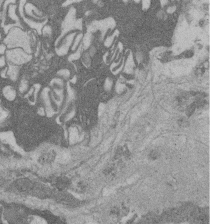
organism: Rat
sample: Salivary granule